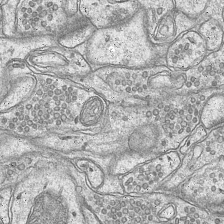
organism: Mouse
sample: CA1 Hippocampus